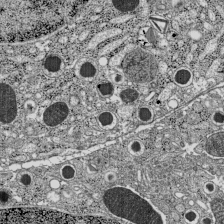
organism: C57BL Mouse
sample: Pancreatic islet